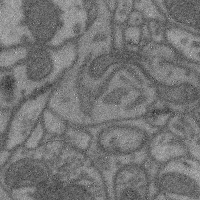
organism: Mouse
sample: Cerebral cortex